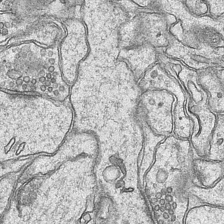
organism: Mouse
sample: CA1 Hippocampus